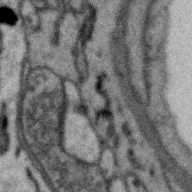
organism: Zebra finch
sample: Brain